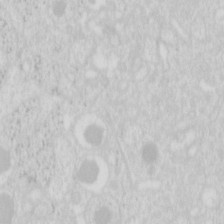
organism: Mouse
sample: Pancreas